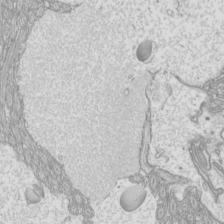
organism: Mouse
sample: Cilia; mouse epididymis